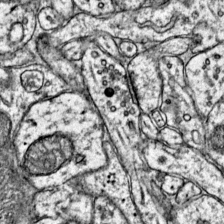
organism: Mouse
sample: Primary visual cortex